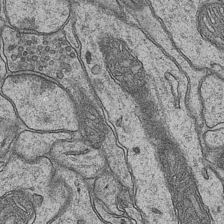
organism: Mouse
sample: CA1 Hippocampus